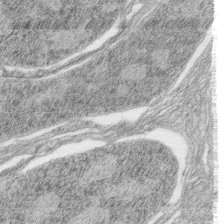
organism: Zebrafish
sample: synaptic ribbons in rod cells and cone cells